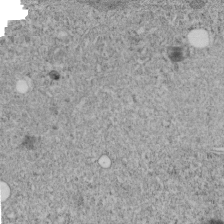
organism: C. elegans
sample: C. elegans embryo early stage